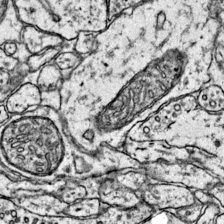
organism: Mouse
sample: Primary visual cortex